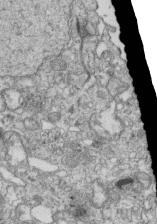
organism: Human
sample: HeLa cell HIV synapse